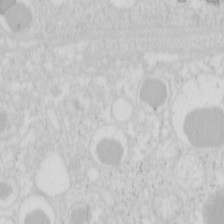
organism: Mouse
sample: Pancreas